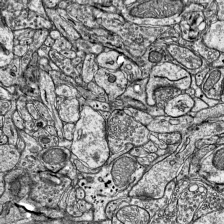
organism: Mouse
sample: Visual Cortex